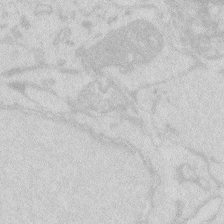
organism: Zebrafish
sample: Macrophage